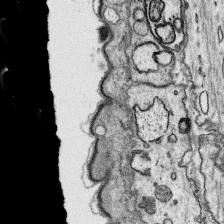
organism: Platynereis dumerilii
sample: Parapodia